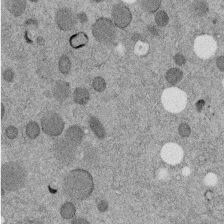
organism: C. elegans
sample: C. elegans embryo early stage